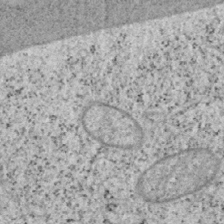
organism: Mouse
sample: OT-I killer T cells with ID8 ovarian cancer cells